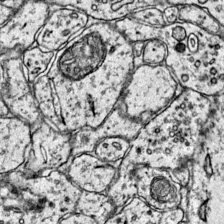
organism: Mouse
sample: Primary visual cortex